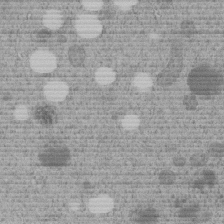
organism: C. elegans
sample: C. elegans embryo early stage